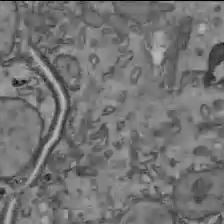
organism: C57BL Mouse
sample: Liver